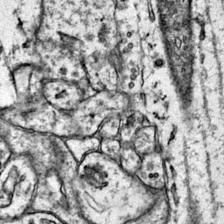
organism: Mouse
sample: Primary visual cortex